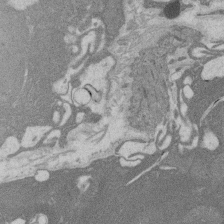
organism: Rat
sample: Salivary granule